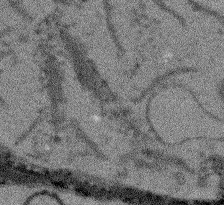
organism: Arabidopsis thaliana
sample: Root tip